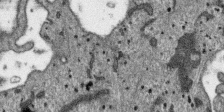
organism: Human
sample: Lung epithelial cells, uninfected (mock) control